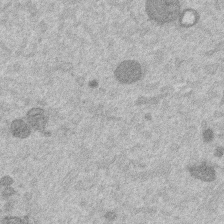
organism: Mouse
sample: Dividing mouse embryo 1 cell stage